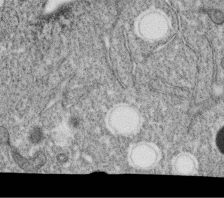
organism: C. elegans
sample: C. elegans oocyte; sperm cells